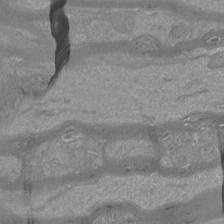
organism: Mouse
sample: Cortical neurons